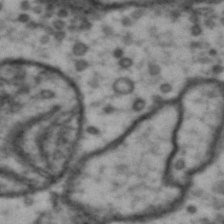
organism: Drosophila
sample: Brain